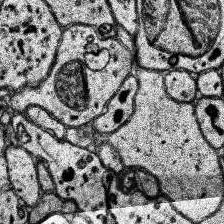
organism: Human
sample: Temporal Lobe